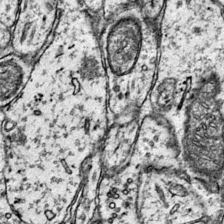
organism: Mouse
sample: Primary visual cortex